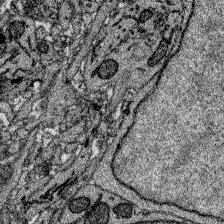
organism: Zebrafish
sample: Larval olfactory bulb